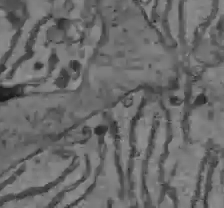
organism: C57BL Mouse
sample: Liver